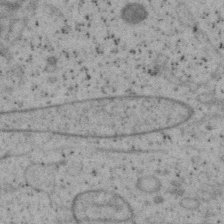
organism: Human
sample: HeLa cells